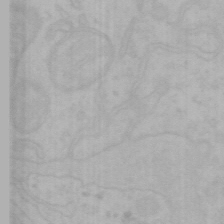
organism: Mouse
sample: Choroid plexus